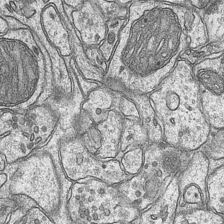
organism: Mouse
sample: CA1 Hippocampus